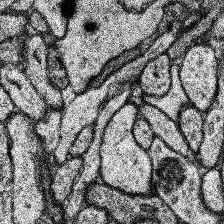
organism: Human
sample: Temporal Lobe